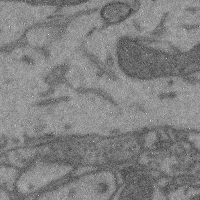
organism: Mouse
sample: Cerebral cortex